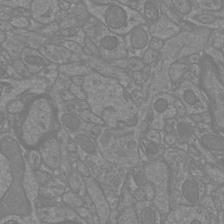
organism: Mouse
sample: Cortical neurons